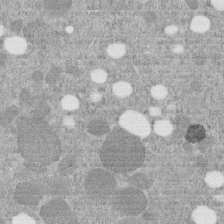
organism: C. elegans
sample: C. elegans embryo early stage